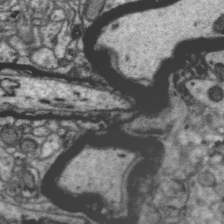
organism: Zebra finch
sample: Brain